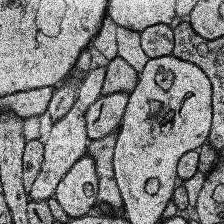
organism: Human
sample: Temporal Lobe